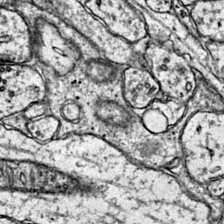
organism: Mouse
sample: Primary visual cortex